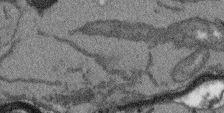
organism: Arabidopsis thaliana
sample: Root tip